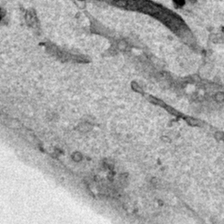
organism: Human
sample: Mitochondria in HCT116 cells